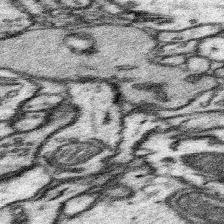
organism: Mouse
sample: Somatosensory cortex neuropil